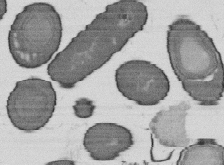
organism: B. subtilis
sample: Bacterial spore